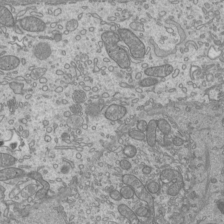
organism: Mouse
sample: Cilia; mouse epididymis